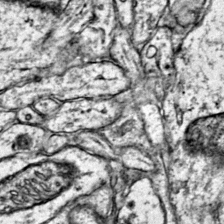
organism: Mouse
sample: Primary visual cortex